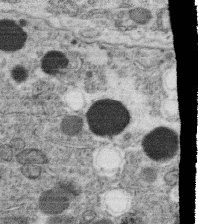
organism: C. elegans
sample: C. elegans oocyte; sperm cells